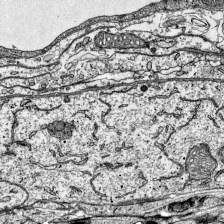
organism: Mouse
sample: Visual Cortex